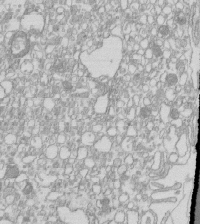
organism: Mouse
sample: Macrophages